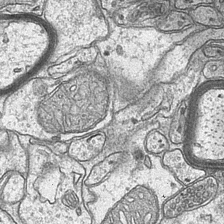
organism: Mouse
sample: CA1 Hippocampus